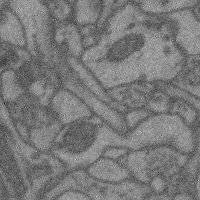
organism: Mouse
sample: Cerebral cortex